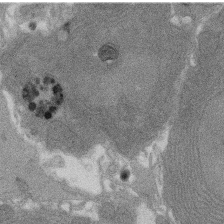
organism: Rat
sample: Salivary granule